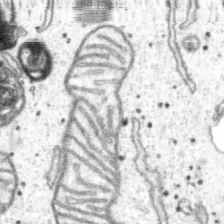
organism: Human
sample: HeLa cells